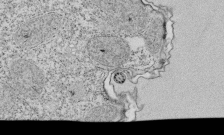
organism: Tetrahymena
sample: Cilia in tetrahymena